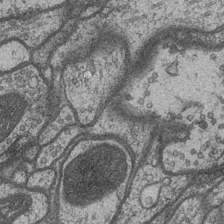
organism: Drosophila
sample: Optic medulla